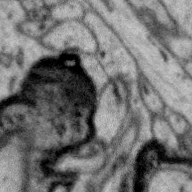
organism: Zebra finch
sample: Brain